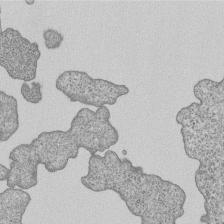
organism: Human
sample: MDA-MB-231 cells